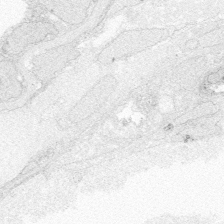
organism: Zebrafish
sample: Whole-Brain